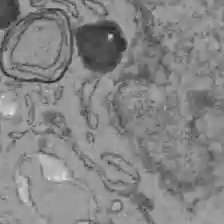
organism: C57BL Mouse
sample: Liver